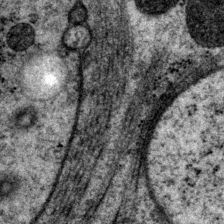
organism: P. pacificus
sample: Pharynx